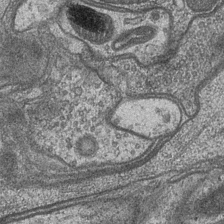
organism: Drosophila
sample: Optic medulla